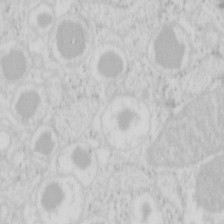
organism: Mouse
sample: Pancreas